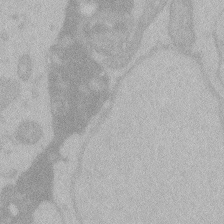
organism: Zebrafish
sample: Macrophage infected with Toxoplasma gondii